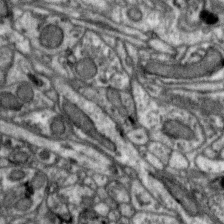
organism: Zebra finch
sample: Brain